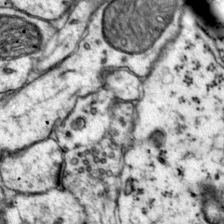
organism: Mouse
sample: Primary visual cortex